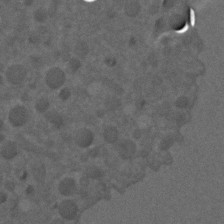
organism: C. elegans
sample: C. elegans embryo